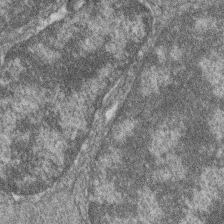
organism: Zebrafish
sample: Cilia; retinal pigment epithelium